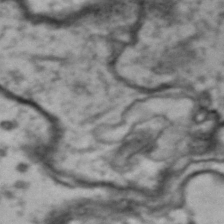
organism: Drosophila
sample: Brain